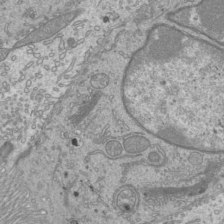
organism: Mouse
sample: Cilia; mouse epididymis